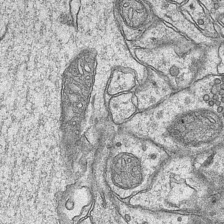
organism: Mouse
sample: CA1 Hippocampus